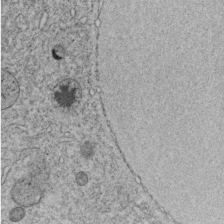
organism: C. elegans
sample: C. elegans embryo early stage